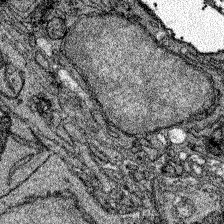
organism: Zebrafish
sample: Larval olfactory bulb